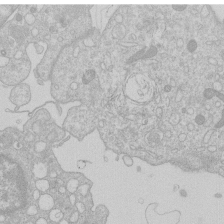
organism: Human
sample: Macrophage cells